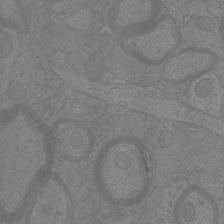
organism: Mouse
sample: Cortical neurons